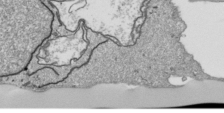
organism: Human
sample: Mitochondria in HCT116 cells